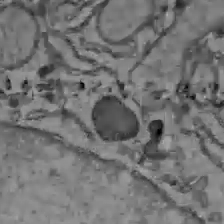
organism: C57BL Mouse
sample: Liver